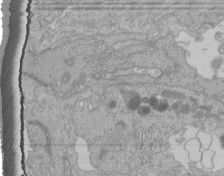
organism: Human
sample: Retinal organoid Rod and Cone cells